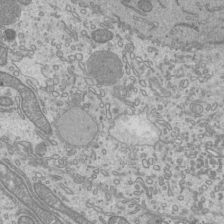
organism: Mouse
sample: Cilia; mouse epididymis